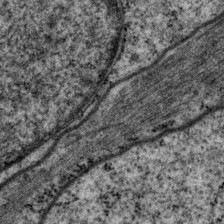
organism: P. pacificus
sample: Pharynx